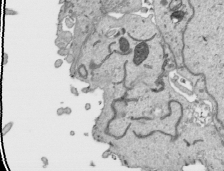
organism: Human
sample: Mitochondria in HCT116 cells